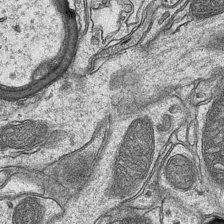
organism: Mouse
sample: CA1 Hippocampus